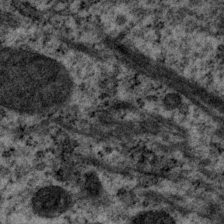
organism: P. pacificus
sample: Pharynx